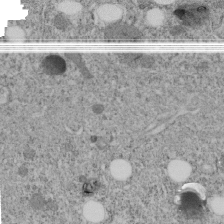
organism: C. elegans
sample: C. elegans embryo early stage